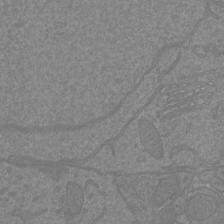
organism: Mouse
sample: Cortical neurons